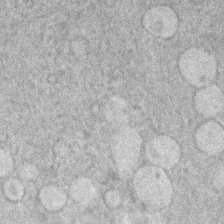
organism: Human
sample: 1205lu cells